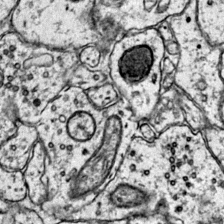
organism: Mouse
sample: Primary visual cortex